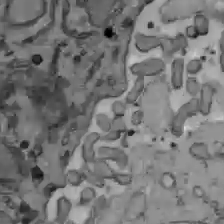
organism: C57BL Mouse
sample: Liver